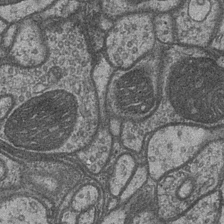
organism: Drosophila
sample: Optic medulla